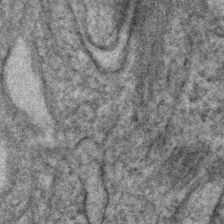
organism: Human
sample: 1205lu cells